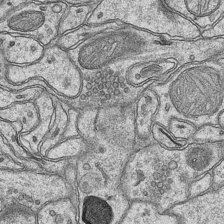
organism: Mouse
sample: CA1 Hippocampus